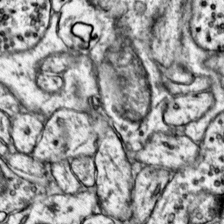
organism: Mouse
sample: Primary visual cortex